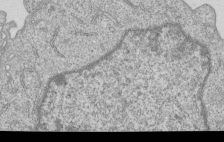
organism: Human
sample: MDA-MB-231 cells